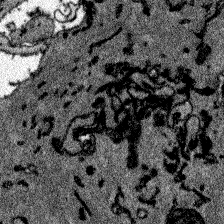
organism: Zebrafish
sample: Larval olfactory bulb